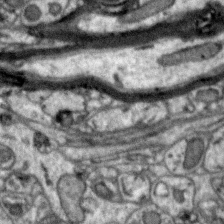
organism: Zebra finch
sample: Brain